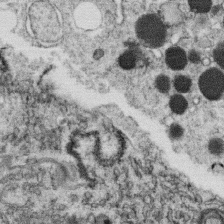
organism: C. elegans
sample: C. elegans oocyte; sperm cells